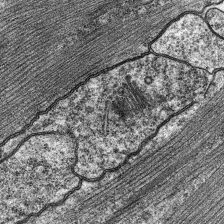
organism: C. elegans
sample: Pharynx